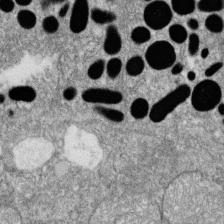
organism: Zebrafish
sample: Cilia; retinal pigment epithelium